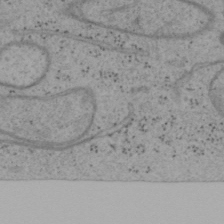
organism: Human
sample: HeLa cells